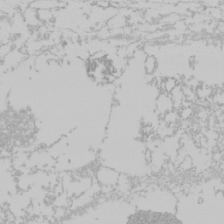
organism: Mouse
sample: Cancer cell death in ED-1 cells